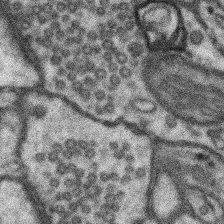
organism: Mouse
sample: Somatosensory cortex neuropil